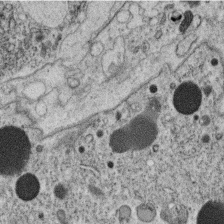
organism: C. elegans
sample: C. elegans oocyte; sperm cells